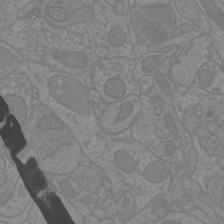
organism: Mouse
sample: Cortical neurons